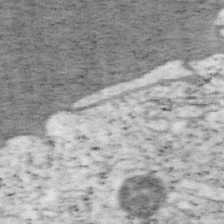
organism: Mouse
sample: OT-I killer T cells with ID8 ovarian cancer cells